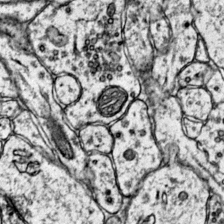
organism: Mouse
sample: Primary visual cortex